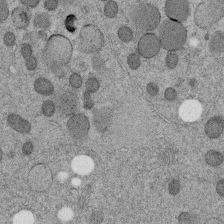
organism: C. elegans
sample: C. elegans embryo early stage